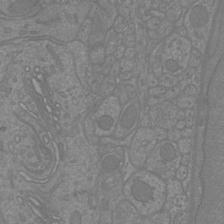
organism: Mouse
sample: Cortical neurons